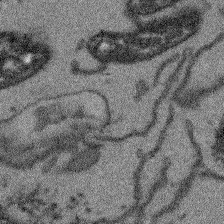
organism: Arabidopsis thaliana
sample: Root tip